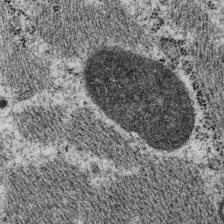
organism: P. pacificus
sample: Pharynx